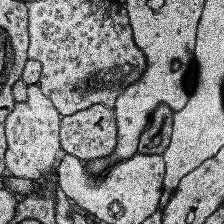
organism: Human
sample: Temporal Lobe